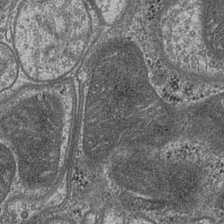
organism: Drosophila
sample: Optic medulla